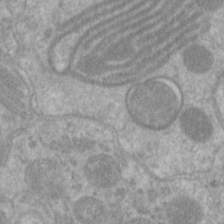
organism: C. elegans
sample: Pharynx